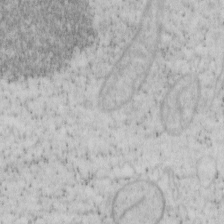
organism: Human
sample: HeLa cells